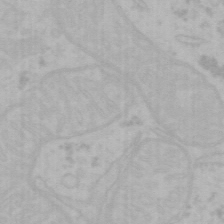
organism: Mouse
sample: Choroid plexus